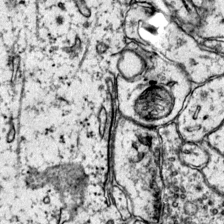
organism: Mouse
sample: Primary visual cortex